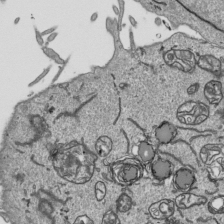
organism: Human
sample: Mitochondria in HCT116 cells